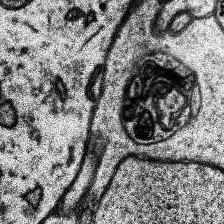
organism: Human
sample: Temporal Lobe